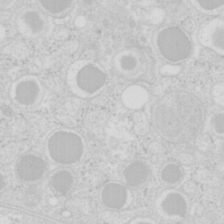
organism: Mouse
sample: Pancreas